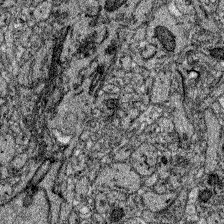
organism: Zebrafish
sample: Larval olfactory bulb